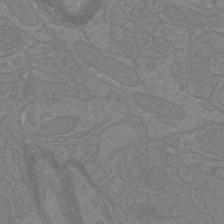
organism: Mouse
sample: Cortical neurons